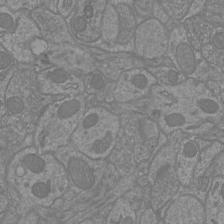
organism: Mouse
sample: Cortical neurons